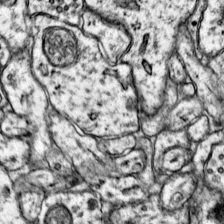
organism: Mouse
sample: Primary visual cortex